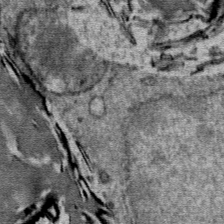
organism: Mouse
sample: Mouse Salivary gland